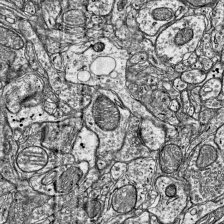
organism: Mouse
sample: Visual Cortex